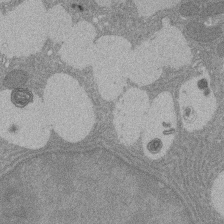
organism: Rat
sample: Salivary granule